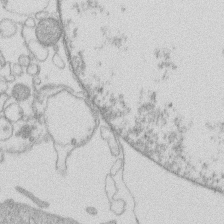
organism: Human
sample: Macrophage cells